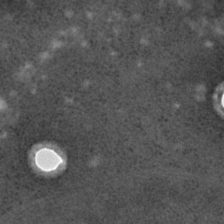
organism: C. elegans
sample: C. elegans embryo